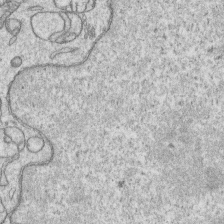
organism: Human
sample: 1205lu cells